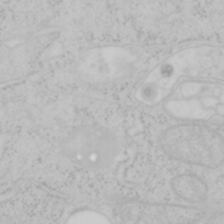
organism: Mouse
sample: OT-I killer T cells with ID8 ovarian cancer cells